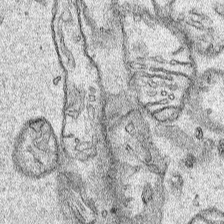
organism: Human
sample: Mitochondria in HCT116 cells